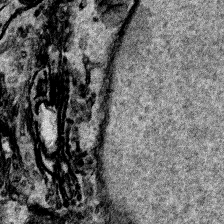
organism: Human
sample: Mitochondria in HCT116 cells